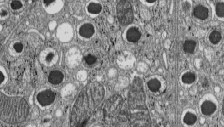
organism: C57BL Mouse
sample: Pancreatic islet